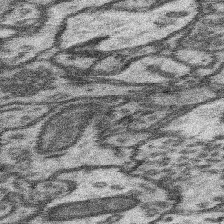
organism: Mouse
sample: Somatosensory cortex neuropil